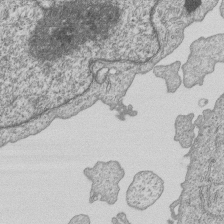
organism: Human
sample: MDA-MB-231 cells